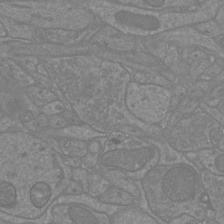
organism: Mouse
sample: Cortical neurons